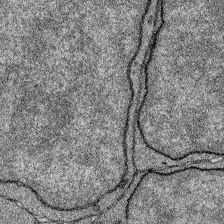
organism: Zebrafish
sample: Larval olfactory bulb